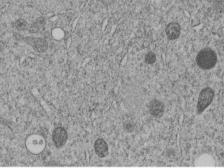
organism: C. elegans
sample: C. elegans embryo early stage